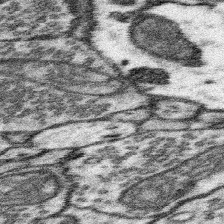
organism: Mouse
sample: Somatosensory cortex neuropil